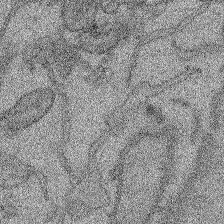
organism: Human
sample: HeLa cells